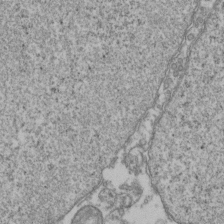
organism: Human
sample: Activated Jurkat CD4+ T cells